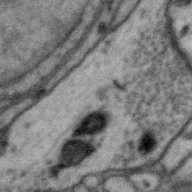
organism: Zebra finch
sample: Brain